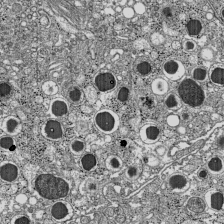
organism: C57BL Mouse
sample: Pancreatic islet